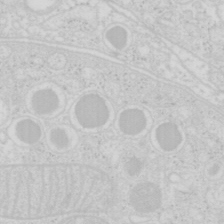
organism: Mouse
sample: Pancreas